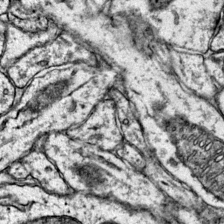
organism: Mouse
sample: Primary visual cortex